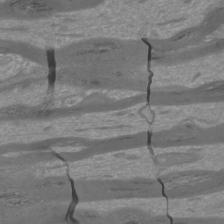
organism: Mouse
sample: Cortical neurons